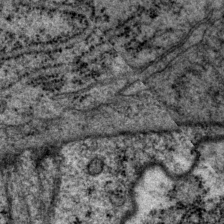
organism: P. pacificus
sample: Pharynx